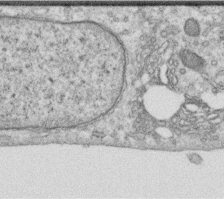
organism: Human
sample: Centriole in RPE cells